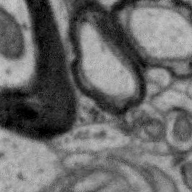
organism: Zebra finch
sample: Brain